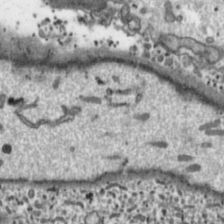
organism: Toxoplasma gondii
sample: Parasites in a vacuole inside a host cell